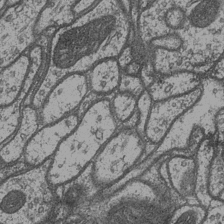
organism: Drosophila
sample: Optic medulla